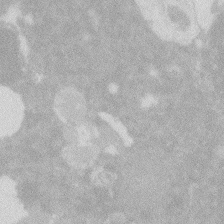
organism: Zebrafish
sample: Macrophage